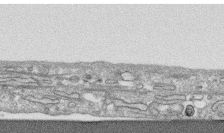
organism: Human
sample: CRL-1474